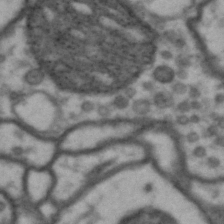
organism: Drosophila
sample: Brain